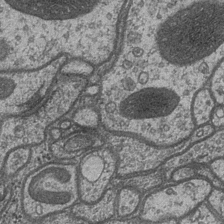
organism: Drosophila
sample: Optic medulla